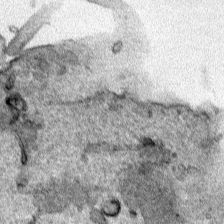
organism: Human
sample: Mitochondria in HCT116 cells